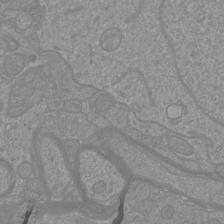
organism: Mouse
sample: Cortical neurons